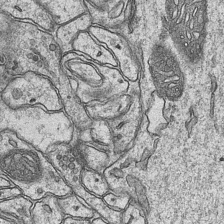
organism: Mouse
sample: CA1 Hippocampus